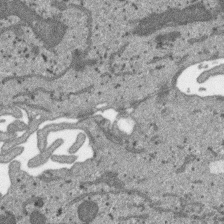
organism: Human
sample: Lung epithelial cells infected with SARS-CoV-2